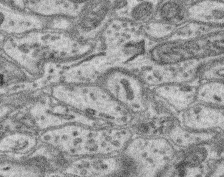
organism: Mouse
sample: Retina